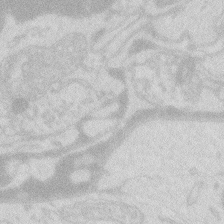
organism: Zebrafish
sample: Macrophage